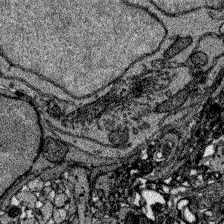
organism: Zebrafish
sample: Larval olfactory bulb